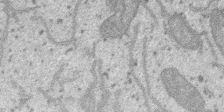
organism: Human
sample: Lung epithelial cells infected with SARS-CoV-2